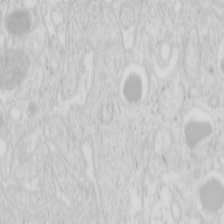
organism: Mouse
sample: Pancreas